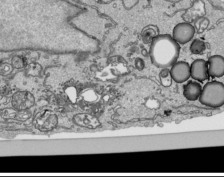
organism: Human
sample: Mitochondria in HCT116 cells